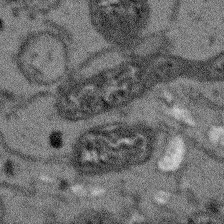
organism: Arabidopsis thaliana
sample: Root tip